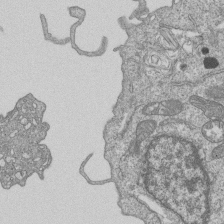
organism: Human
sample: MDA-MB-231 cells